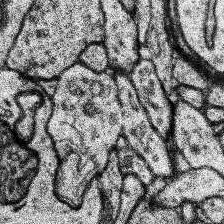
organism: Human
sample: Temporal Lobe